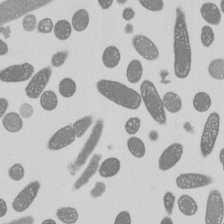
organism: E. coli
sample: Bacterial nucleoid